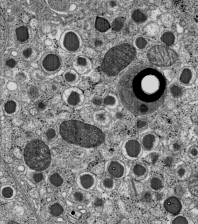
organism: C57BL Mouse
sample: Pancreatic islet